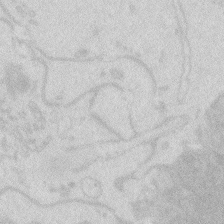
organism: Zebrafish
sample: Macrophage